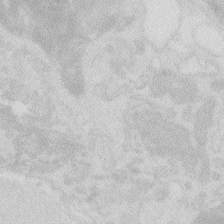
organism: Zebrafish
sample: Macrophage